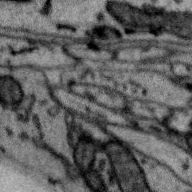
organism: Zebra finch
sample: Brain